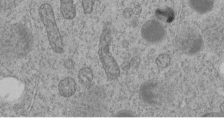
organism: C. elegans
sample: C. elegans embryo early stage